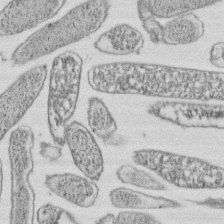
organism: E. coli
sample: Bacterial nucleoid